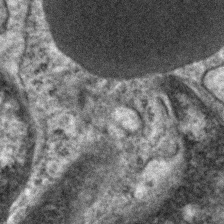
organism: Human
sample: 1205lu cells